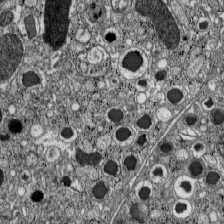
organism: C57BL Mouse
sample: Pancreatic islet